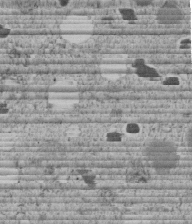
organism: C. elegans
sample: C. elegans embryo early stage